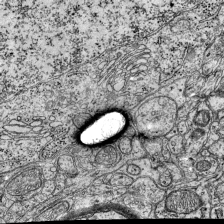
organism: Mouse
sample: Visual Cortex